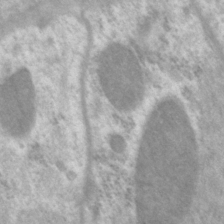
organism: P. pacificus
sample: Pharynx